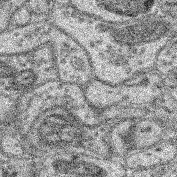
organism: Mouse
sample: Retina